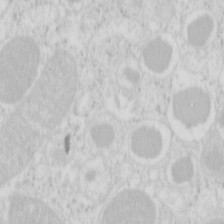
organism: Mouse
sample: Pancreas